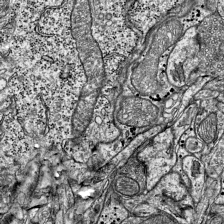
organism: Mouse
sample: Visual Cortex